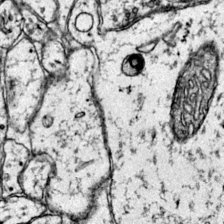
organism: Mouse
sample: Primary visual cortex